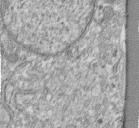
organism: Human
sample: Centriole in fibroblast cells